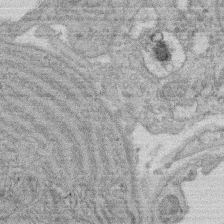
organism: Rat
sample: Salivary granule